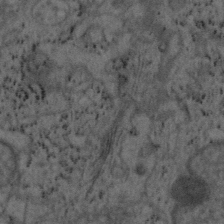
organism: Human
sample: HeLa cells